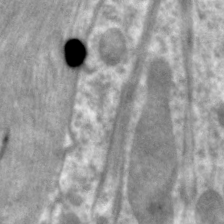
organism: C. elegans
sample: Pharynx